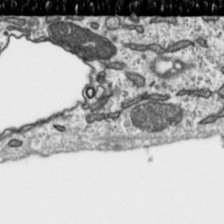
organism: Toxoplasma gondii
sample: Parasites in a vacuole inside a host cell